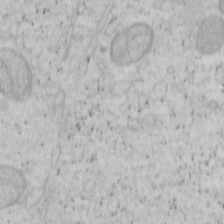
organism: Human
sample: HeLa cells